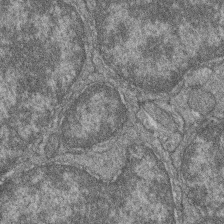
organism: Zebrafish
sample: Cilia; retinal pigment epithelium